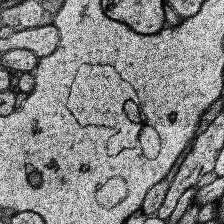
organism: Human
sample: Temporal Lobe